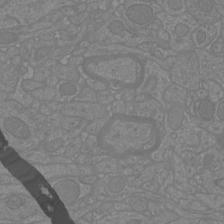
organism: Mouse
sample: Cortical neurons